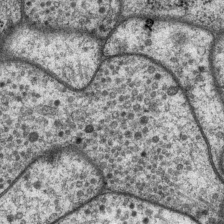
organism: P. pacificus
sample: Pharynx